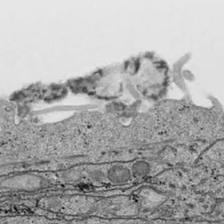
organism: Human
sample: HeLa cells